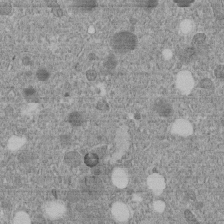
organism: C. elegans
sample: C. elegans embryo early stage